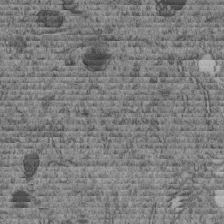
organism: C. elegans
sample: C. elegans embryo early stage